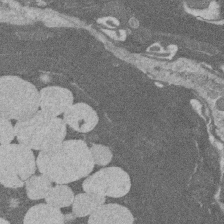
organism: Rat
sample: Salivary granule